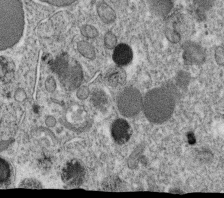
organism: C. elegans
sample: C. elegans oocyte; sperm cells